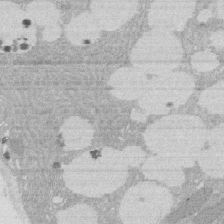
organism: Rat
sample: Salivary granule